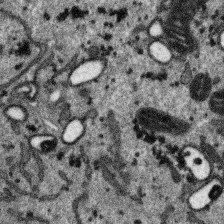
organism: Human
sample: Lung epithelial cells infected with SARS-CoV-2